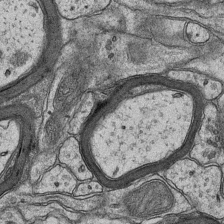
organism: Mouse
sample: CA1 Hippocampus